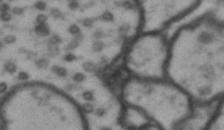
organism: Drosophila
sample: Brain